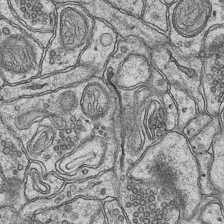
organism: Mouse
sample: CA1 Hippocampus